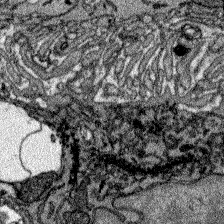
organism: Zebrafish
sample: Larval olfactory bulb